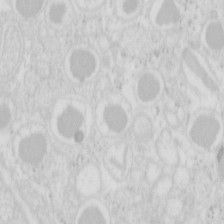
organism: Mouse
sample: Pancreas